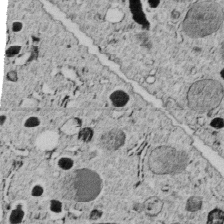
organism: C. elegans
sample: C. elegans embryo early stage